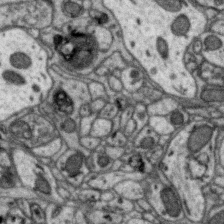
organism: Zebra finch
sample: Brain